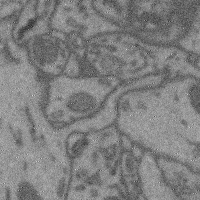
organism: Mouse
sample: Cerebral cortex